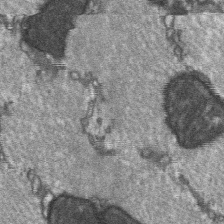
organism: C57BL Mouse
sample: Soleus